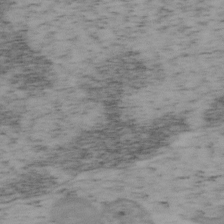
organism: Mouse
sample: OT-I killer T cells with ID8 ovarian cancer cells